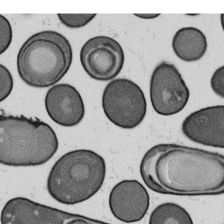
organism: B. subtilis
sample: Bacterial spore